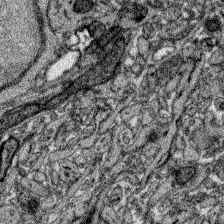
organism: Zebrafish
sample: Larval olfactory bulb